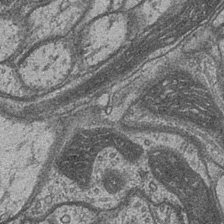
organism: Drosophila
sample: Optic medulla